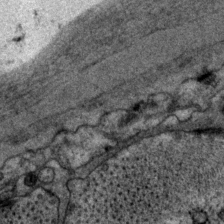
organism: P. pacificus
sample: Pharynx